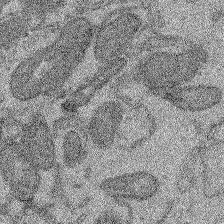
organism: Human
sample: HeLa cells